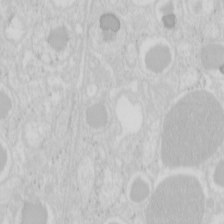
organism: Mouse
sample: Pancreas